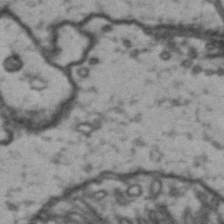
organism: Drosophila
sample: Brain